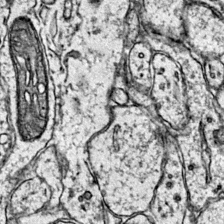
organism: Mouse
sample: Primary visual cortex